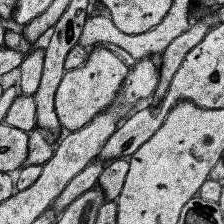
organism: Human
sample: Temporal Lobe